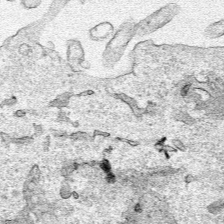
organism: Human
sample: Mitochondria in HCT116 cells